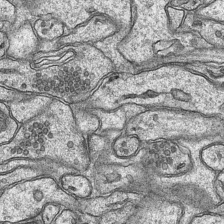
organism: Mouse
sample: CA1 Hippocampus